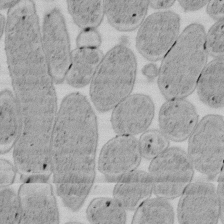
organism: E. coli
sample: Bacterial nucleoid